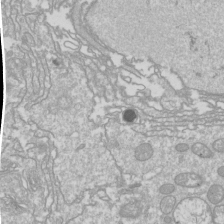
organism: Drosophila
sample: Cell division; meiosis; drosophila spermatocytes